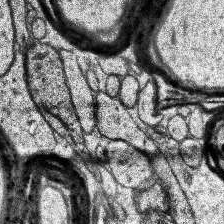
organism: Human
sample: Temporal Lobe